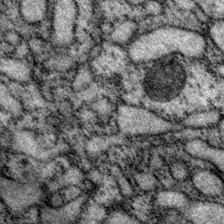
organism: P. pacificus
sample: Pharynx